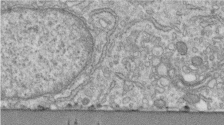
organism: Human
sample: Centriole in fibroblast cells